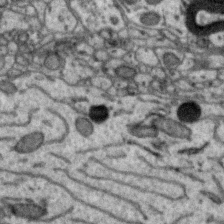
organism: Zebra finch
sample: Brain